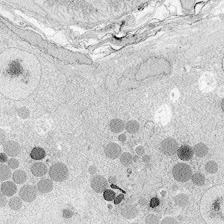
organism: Zebrafish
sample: Whole-Brain